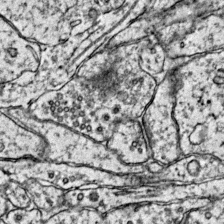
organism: Mouse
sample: Primary visual cortex